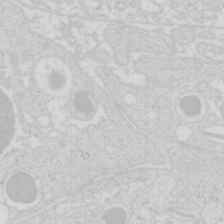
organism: Mouse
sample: Pancreas